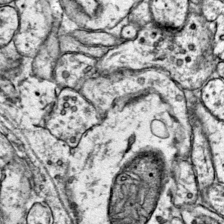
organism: Mouse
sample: Primary visual cortex